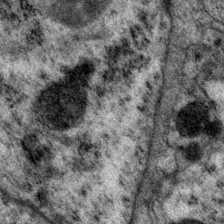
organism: P. pacificus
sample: Pharynx